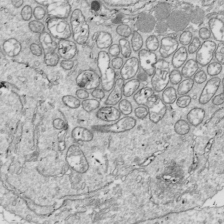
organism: Drosophila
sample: Cell division; meiosis; drosophila spermatocytes